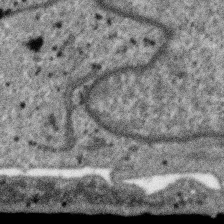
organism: Human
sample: Lung epithelial cells infected with SARS-CoV-2